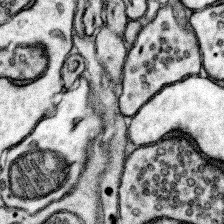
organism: Mouse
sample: Somatosensory cortex neuropil